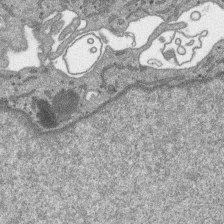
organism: Human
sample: Lung epithelial cells infected with SARS-CoV-2